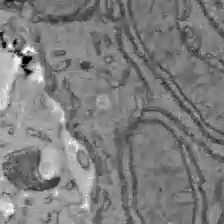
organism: C57BL Mouse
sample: Liver